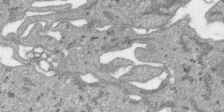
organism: Human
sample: Lung epithelial cells infected with SARS-CoV-2